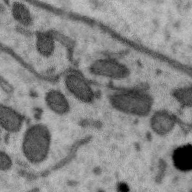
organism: Zebra finch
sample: Brain